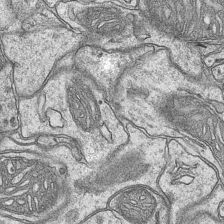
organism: Mouse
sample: CA1 Hippocampus